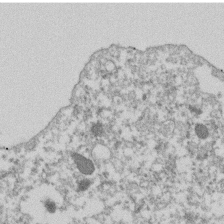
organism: Dictyostelium discoideum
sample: Dictyostelium multivesicular bodies